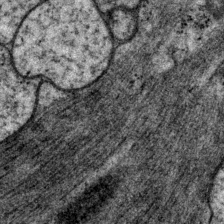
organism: P. pacificus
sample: Pharynx